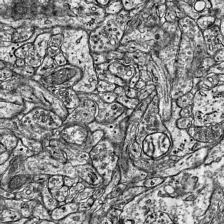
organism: Mouse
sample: Visual Cortex